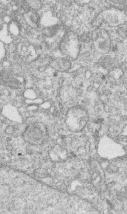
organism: Human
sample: HeLa cell HIV synapse